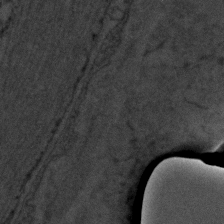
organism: C. elegans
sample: C. elegans embryo